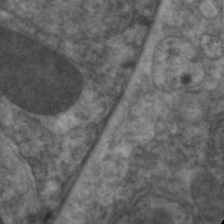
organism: C. elegans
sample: Pharynx